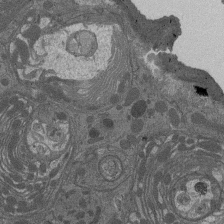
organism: Drosophila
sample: Antenna